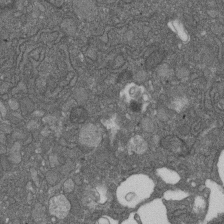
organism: Drosophila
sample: Nephrocyte